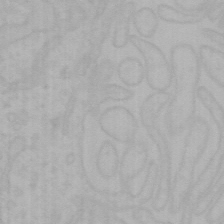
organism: Mouse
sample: Choroid plexus